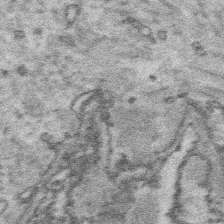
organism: Platynereis dumerilii